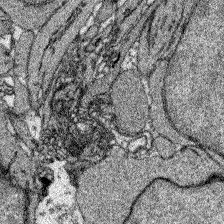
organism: Zebrafish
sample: Larval olfactory bulb